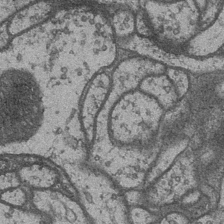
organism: Drosophila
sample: Optic medulla